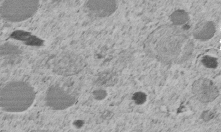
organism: C. elegans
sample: C. elegans embryo early stage